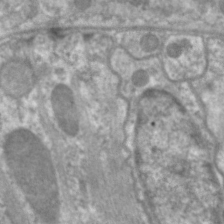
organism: C. elegans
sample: Pharynx